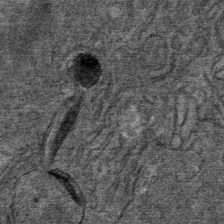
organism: Mouse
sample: Mouse Salivary gland